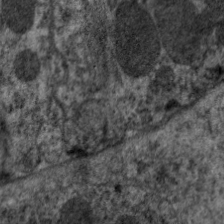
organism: C. elegans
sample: Pharynx